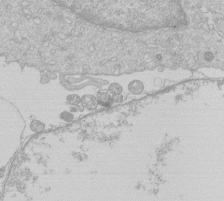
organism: Human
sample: Macrophage cells